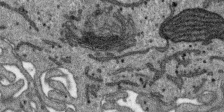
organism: Human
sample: Lung epithelial cells, uninfected (mock) control